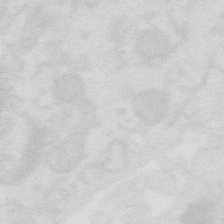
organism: Human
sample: HeLa cells